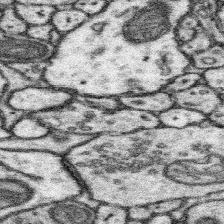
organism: Mouse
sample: Somatosensory cortex neuropil